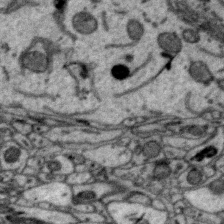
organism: Zebra finch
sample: Brain